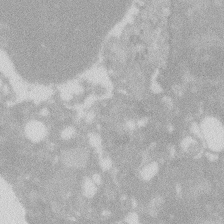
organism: Zebrafish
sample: Macrophage